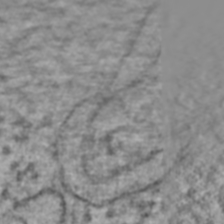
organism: Human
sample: Blood